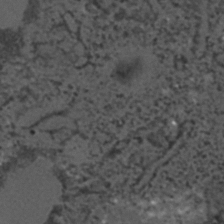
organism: C. elegans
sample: C. elegans embryo